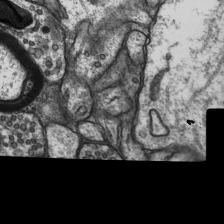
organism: Rat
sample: Hippocampus